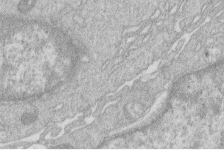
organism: Human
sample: Macrophage cells